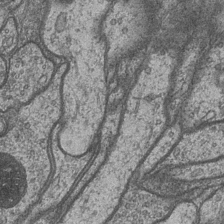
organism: Drosophila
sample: Optic medulla